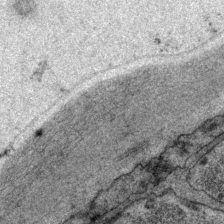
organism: P. pacificus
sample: Pharynx